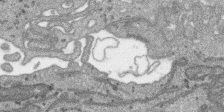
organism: Human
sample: Lung epithelial cells infected with SARS-CoV-2